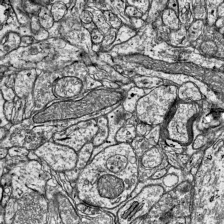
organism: Mouse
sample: Visual Cortex